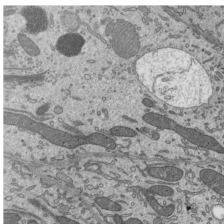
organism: Mouse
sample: Mouse epididymis efferent ductule cilia